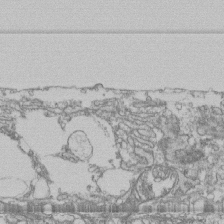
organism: Human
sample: Fibroblast cells